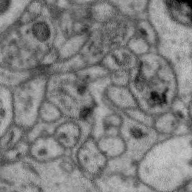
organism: Zebra finch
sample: Brain